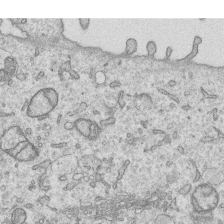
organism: Human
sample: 1205lu cells